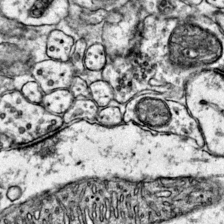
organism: Mouse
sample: Primary visual cortex